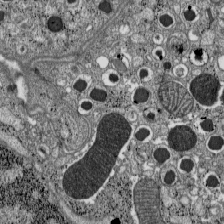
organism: C57BL Mouse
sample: Pancreatic islet